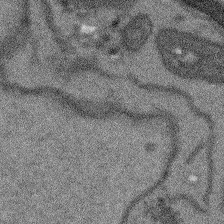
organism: Arabidopsis thaliana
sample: Root tip